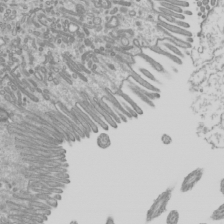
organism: Mouse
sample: Cilia; mouse epididymis